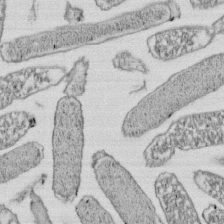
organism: E. coli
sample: Bacterial nucleoid